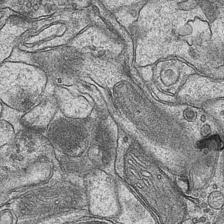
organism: Mouse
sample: CA1 Hippocampus